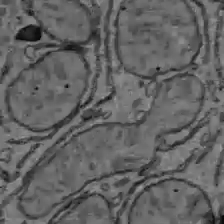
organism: C57BL Mouse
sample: Liver